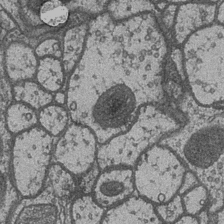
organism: Drosophila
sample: Optic medulla